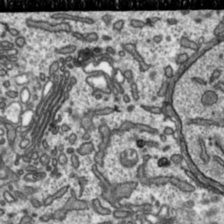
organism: Toxoplasma gondii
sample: Parasites in a vacuole inside a host cell